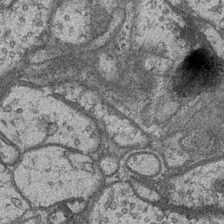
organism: Drosophila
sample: Optic medulla